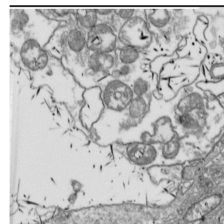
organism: Drosophila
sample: Cell division; meiosis; drosophila spermatocytes